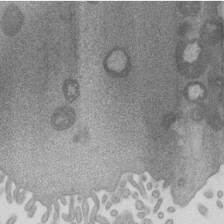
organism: Mouse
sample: Dividing mouse embryo 1 cell stage